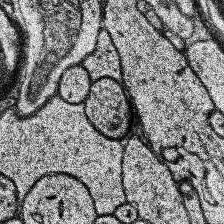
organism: Human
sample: Temporal Lobe